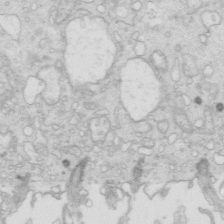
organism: Mouse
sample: Multiciliated cells